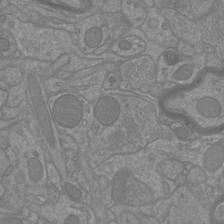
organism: Mouse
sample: Cortical neurons